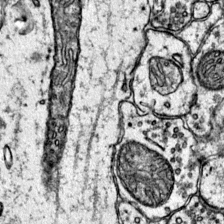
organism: Mouse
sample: Primary visual cortex